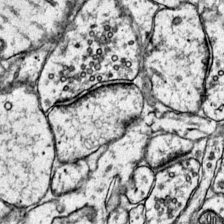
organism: Mouse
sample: Primary visual cortex